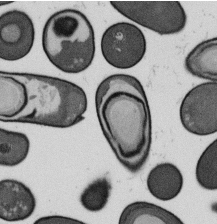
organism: B. subtilis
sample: Bacterial spore